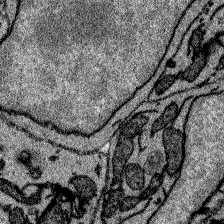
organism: Zebrafish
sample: Larval olfactory bulb